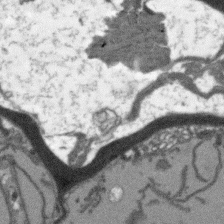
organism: Arabidopsis thaliana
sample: Root tip